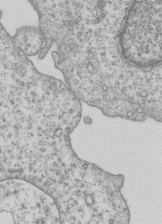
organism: Human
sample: MDA-MB-231 cells